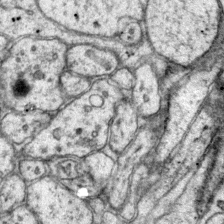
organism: Mouse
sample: Primary visual cortex